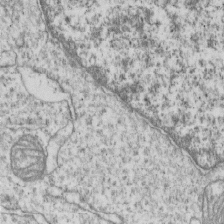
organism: Human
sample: MDA-MB-231 cells